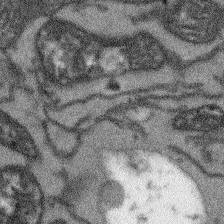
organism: Arabidopsis thaliana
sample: Root tip